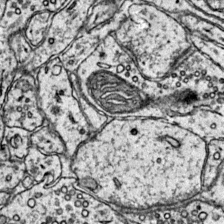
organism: Mouse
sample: Primary visual cortex